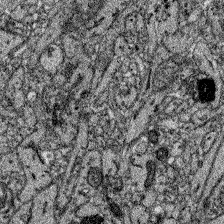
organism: Zebrafish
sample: Larval olfactory bulb